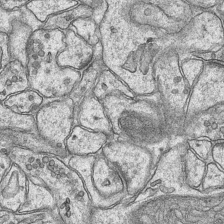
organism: Mouse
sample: CA1 Hippocampus